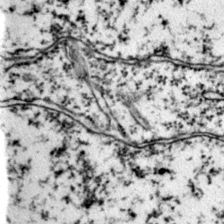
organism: Mouse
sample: Primary visual cortex